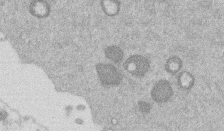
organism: Mouse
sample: Dividing mouse embryo 1 cell stage